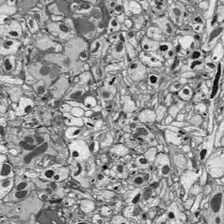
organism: Drosophila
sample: Optic lobe